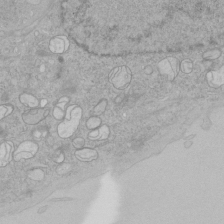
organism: Human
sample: Mitochondria in HCT116 cells